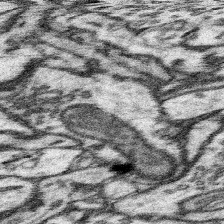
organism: Mouse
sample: Somatosensory cortex neuropil